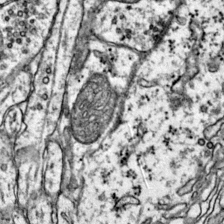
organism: Mouse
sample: Primary visual cortex